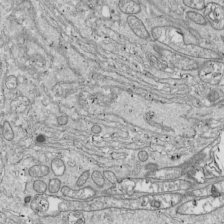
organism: Drosophila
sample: Cell division; meiosis; drosophila spermatocytes